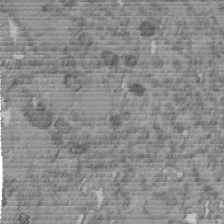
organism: C. elegans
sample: C. elegans embryo early stage